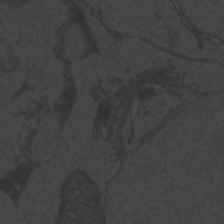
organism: Zebrafish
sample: Macrophage infected with Toxoplasma gondii